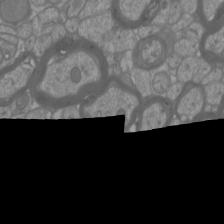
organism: Mouse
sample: Cortical neurons